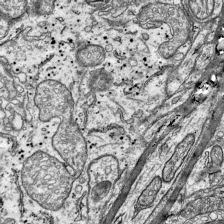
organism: Mouse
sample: Visual Cortex